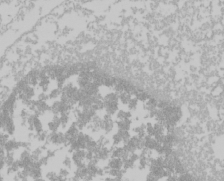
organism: Mouse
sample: Cancer cell death in ED-1 cells